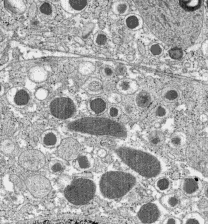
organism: C57BL Mouse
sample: Pancreatic islet